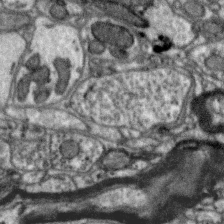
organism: Zebra finch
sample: Brain